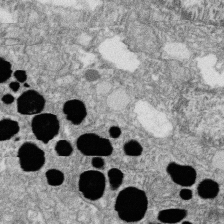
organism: Zebrafish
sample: Cilia; retinal pigment epithelium